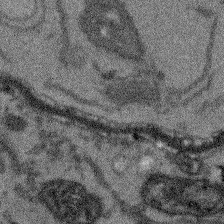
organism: Arabidopsis thaliana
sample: Root tip